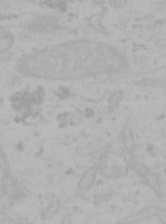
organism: Mouse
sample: Choroid plexus